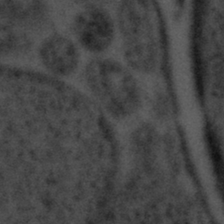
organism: Tuwongella immobilis